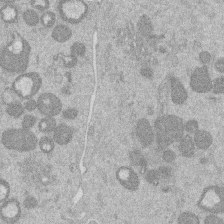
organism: Mouse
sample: Dividing mouse embryo 1 cell stage